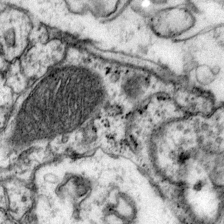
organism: Mouse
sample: Primary visual cortex